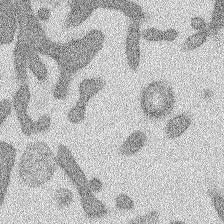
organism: Human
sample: HeLa cells